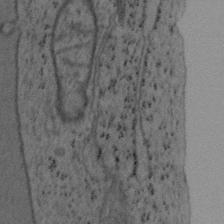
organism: Human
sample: HeLa cells